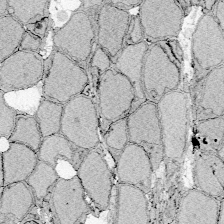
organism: Zebrafish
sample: Whole-Brain